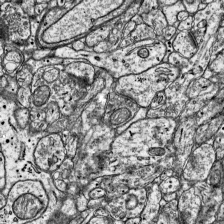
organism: Mouse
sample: Visual Cortex